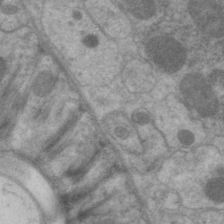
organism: C. elegans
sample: Pharynx